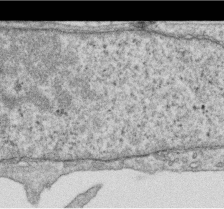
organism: Human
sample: Centriole in RPE cells